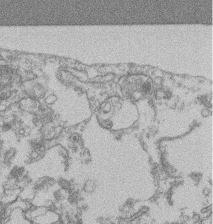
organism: Mouse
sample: T cell stromal cell synapse